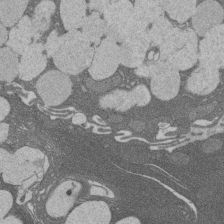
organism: Rat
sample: Salivary granule